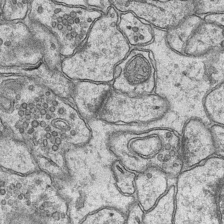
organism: Mouse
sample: CA1 Hippocampus